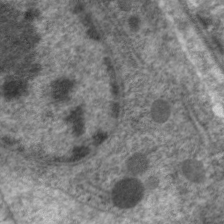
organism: C. elegans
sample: Pharynx